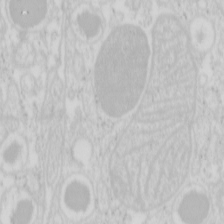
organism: Mouse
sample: Pancreas